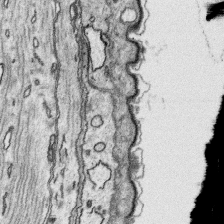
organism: Platynereis dumerilii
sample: Parapodia